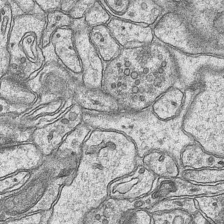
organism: Mouse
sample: CA1 Hippocampus